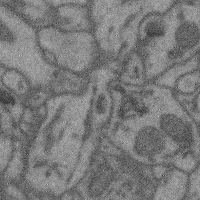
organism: Mouse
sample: Cerebral cortex